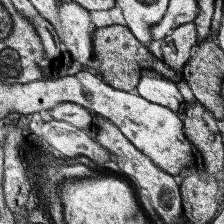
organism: Human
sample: Temporal Lobe